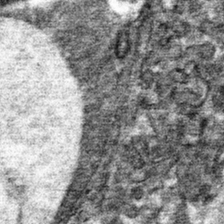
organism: Mouse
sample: Mouse hepatocytes